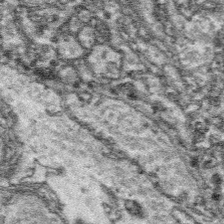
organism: Platynereis dumerilii